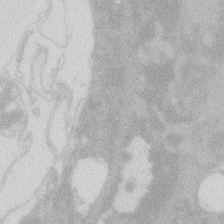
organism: Zebrafish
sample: Macrophage